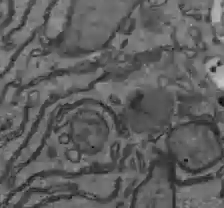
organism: C57BL Mouse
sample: Liver